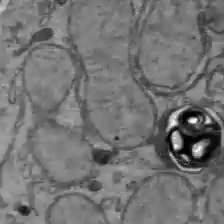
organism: C57BL Mouse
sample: Liver